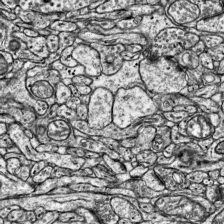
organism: Mouse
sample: Visual Cortex